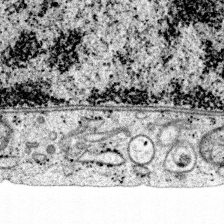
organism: Human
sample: HeLa cells